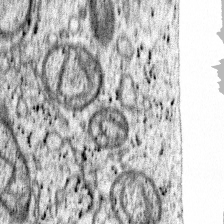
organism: Human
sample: HeLa cells